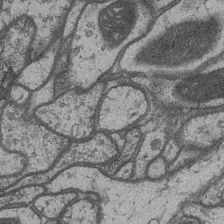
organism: Drosophila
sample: Optic medulla